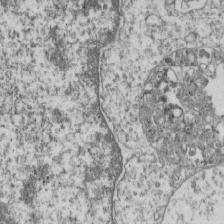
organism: Human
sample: MDA-MB-231 cells